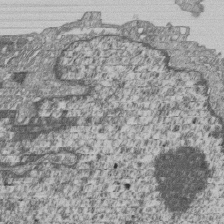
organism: Human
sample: MDA-MB-231 cells